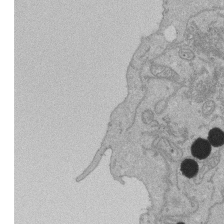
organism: Human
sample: Activated Jurkat CD4+ T cells